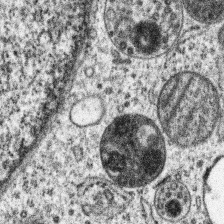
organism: Human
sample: HeLa cells